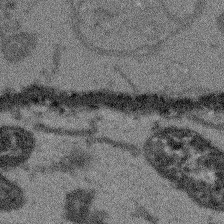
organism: Arabidopsis thaliana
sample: Root tip